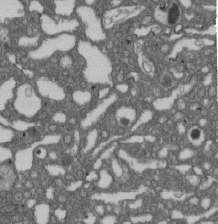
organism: Drosophila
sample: Nephrocyte